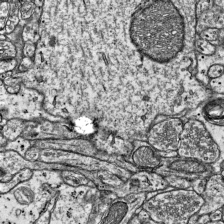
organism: Mouse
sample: Visual Cortex